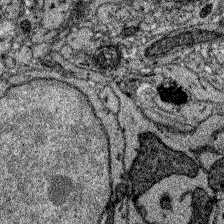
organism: Zebrafish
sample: Larval olfactory bulb